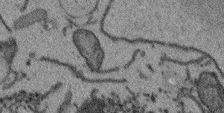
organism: Arabidopsis thaliana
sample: Root tip